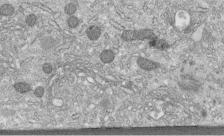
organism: Human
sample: Centriole in fibroblast cells